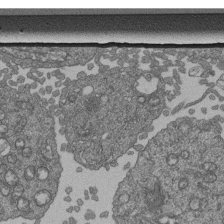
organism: Human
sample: Retinal organoid Rod and Cone cells